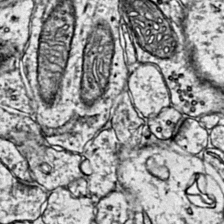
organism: Mouse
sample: Primary visual cortex